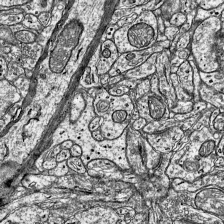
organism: Mouse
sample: Visual Cortex